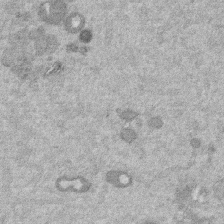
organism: Mouse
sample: Dividing mouse embryo 1 cell stage